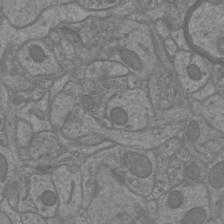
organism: Mouse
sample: Cortical neurons